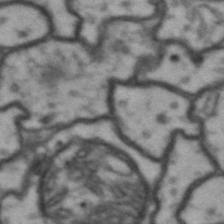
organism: Drosophila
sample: Brain